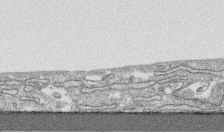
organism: Human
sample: CRL-1474